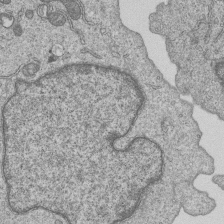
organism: Human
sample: MDA-MB-231 cells